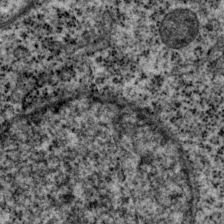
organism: P. pacificus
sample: Pharynx